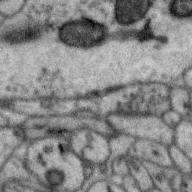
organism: Zebra finch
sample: Brain